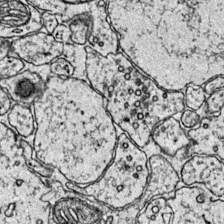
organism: Mouse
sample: Primary visual cortex